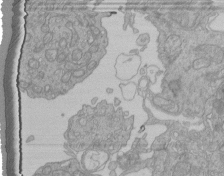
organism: Human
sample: Retinal organoid Rod and Cone cells